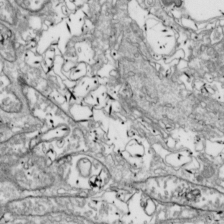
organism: Drosophila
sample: Cell division; meiosis; drosophila spermatocytes